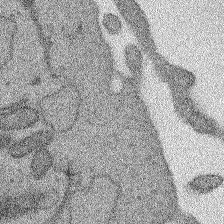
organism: Human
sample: HeLa cells